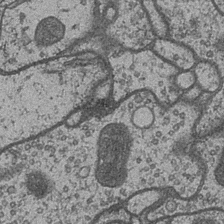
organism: Drosophila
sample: Optic medulla